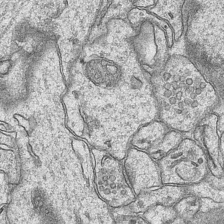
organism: Mouse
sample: CA1 Hippocampus